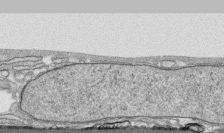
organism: Human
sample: CRL-1474